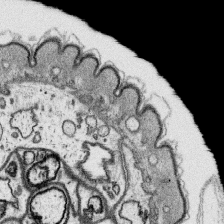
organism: Platynereis dumerilii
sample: Parapodia